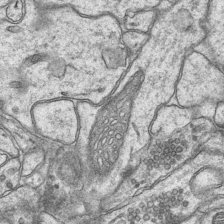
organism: Mouse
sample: CA1 Hippocampus